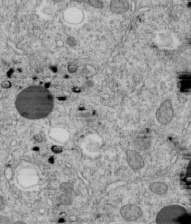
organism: C. elegans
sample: C. elegans embryo early stage